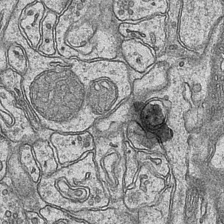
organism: Mouse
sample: CA1 Hippocampus